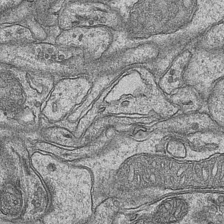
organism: Mouse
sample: CA1 Hippocampus